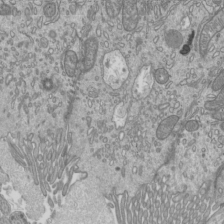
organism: Mouse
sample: Cilia; mouse epididymis